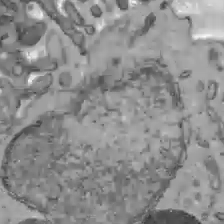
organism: C57BL Mouse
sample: Liver